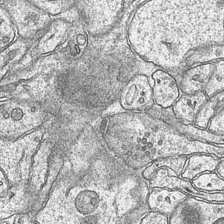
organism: Mouse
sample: CA1 Hippocampus